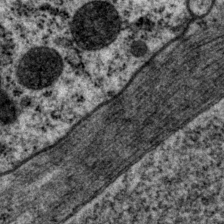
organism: P. pacificus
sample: Pharynx